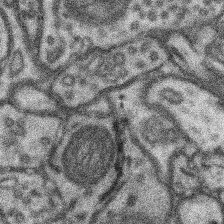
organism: Mouse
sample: Somatosensory cortex neuropil